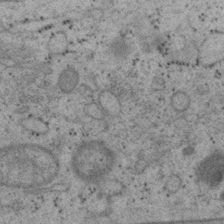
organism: Human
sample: HeLa cells